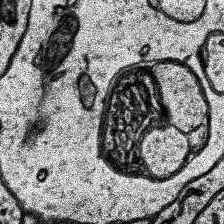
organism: Human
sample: Temporal Lobe